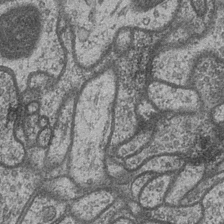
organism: Drosophila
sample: Optic medulla